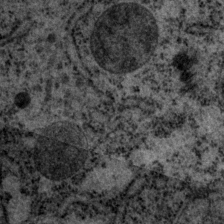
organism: P. pacificus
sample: Pharynx